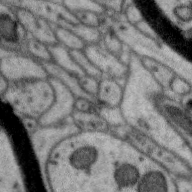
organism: Zebra finch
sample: Brain